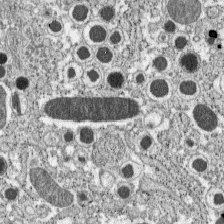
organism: C57BL Mouse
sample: Pancreatic islet